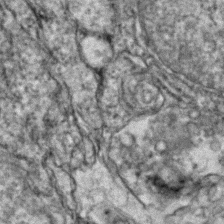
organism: Zebrafish